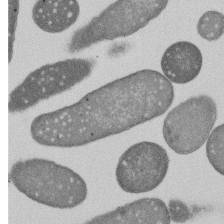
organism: E. coli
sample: Bacterial nucleoid